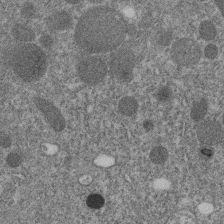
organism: C. elegans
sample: C. elegans embryo early stage